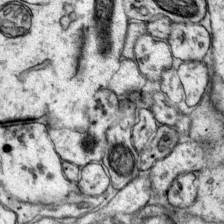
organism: Mouse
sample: Primary visual cortex